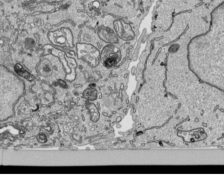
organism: Human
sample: Mitochondria in HCT116 cells